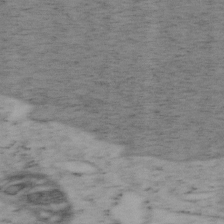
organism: Mouse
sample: OT-I killer T cells with ID8 ovarian cancer cells